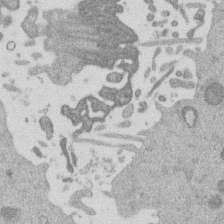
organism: Mouse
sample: Dividing mouse embryo 1 cell stage